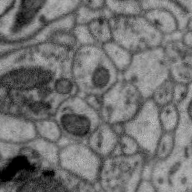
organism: Zebra finch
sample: Brain